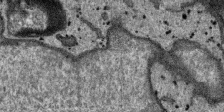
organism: Human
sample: Lung epithelial cells, uninfected (mock) control